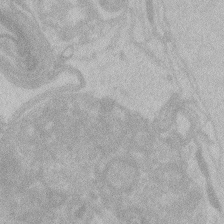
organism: Zebrafish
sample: Macrophage infected with Toxoplasma gondii